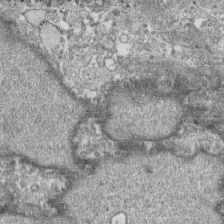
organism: Human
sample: CRL-1474